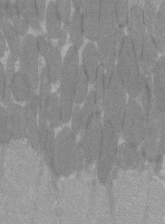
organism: C57BL Mouse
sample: Tibialis anterior muscle cell